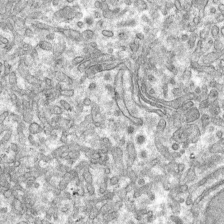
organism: Mouse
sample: Mouse hepatocytes